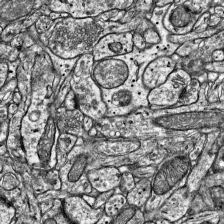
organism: Mouse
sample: Visual Cortex